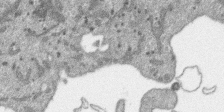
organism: Human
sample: Lung epithelial cells infected with SARS-CoV-2